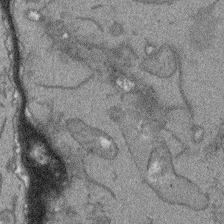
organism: Arabidopsis thaliana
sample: Root tip